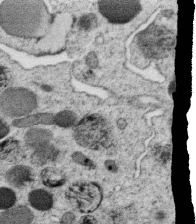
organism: C. elegans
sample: C. elegans oocyte; sperm cells